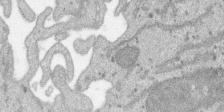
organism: Human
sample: Lung epithelial cells infected with SARS-CoV-2